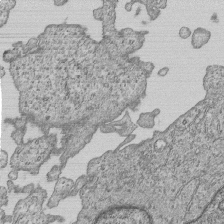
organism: Human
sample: MDA-MB-231 cells